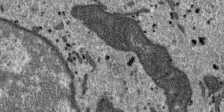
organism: Human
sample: Lung epithelial cells, uninfected (mock) control